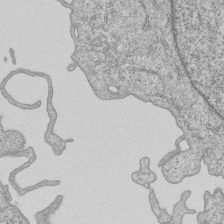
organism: Human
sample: MDA-MB-231 cells